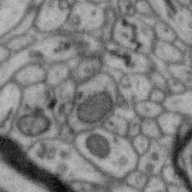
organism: Zebra finch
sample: Brain